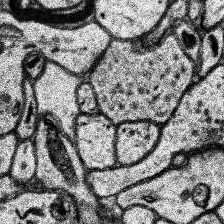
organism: Human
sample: Temporal Lobe